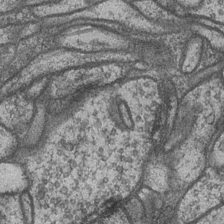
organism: Drosophila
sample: Optic medulla